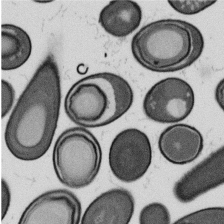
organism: B. subtilis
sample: Bacterial spore